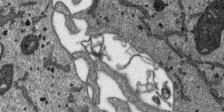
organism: Human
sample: Lung epithelial cells infected with SARS-CoV-2